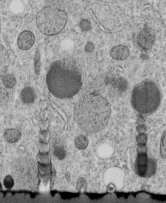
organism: C. elegans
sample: C. elegans embryo early stage